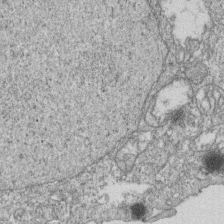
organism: Human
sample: HeLa cell HIV synapse